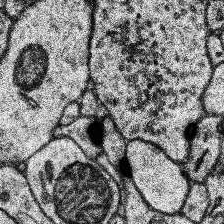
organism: Human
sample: Temporal Lobe